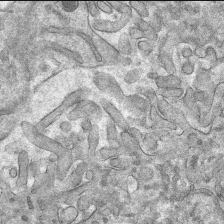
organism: Mouse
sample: Mouse hepatocytes